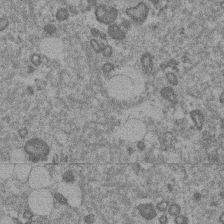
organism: Mouse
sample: Dividing mouse embryo 1 cell stage